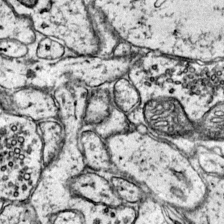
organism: Mouse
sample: Primary visual cortex